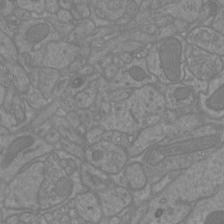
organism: Mouse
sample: Cortical neurons